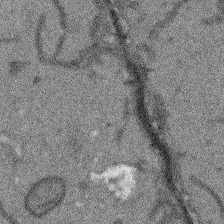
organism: Arabidopsis thaliana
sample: Root tip